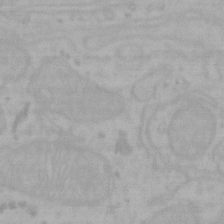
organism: Mouse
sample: Choroid plexus